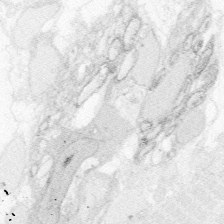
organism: Zebrafish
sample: Whole-Brain